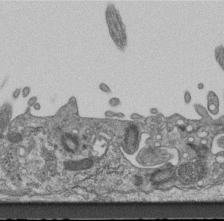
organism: Mouse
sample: Centriole in ependymal cells